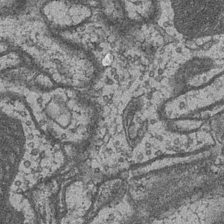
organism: Drosophila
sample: Optic medulla